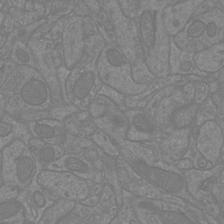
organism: Mouse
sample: Cortical neurons